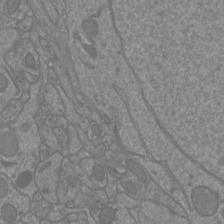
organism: Mouse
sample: Cortical neurons